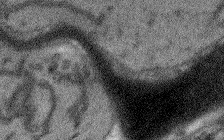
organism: Arabidopsis thaliana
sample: Root tip